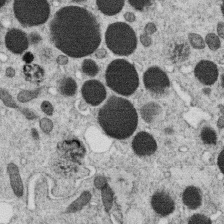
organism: C. elegans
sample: C. elegans oocyte; sperm cells